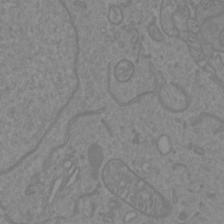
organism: Mouse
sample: Cortical neurons